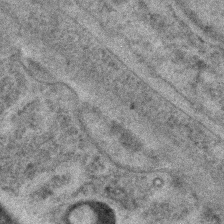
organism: C. elegans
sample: C. elegans embryo